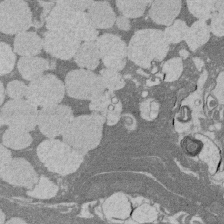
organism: Rat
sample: Salivary granule